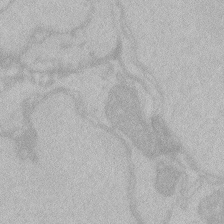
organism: Zebrafish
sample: Macrophage infected with Toxoplasma gondii